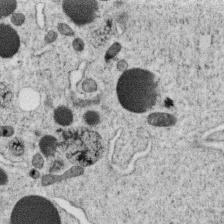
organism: C. elegans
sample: C. elegans oocyte; sperm cells